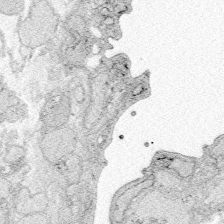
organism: Zebrafish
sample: Whole-Brain